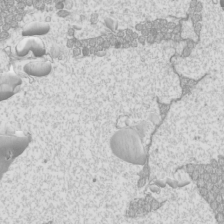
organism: Mouse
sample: Cilia; mouse epididymis